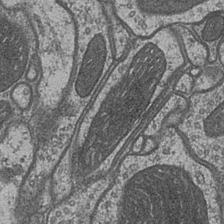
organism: Drosophila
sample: Optic medulla